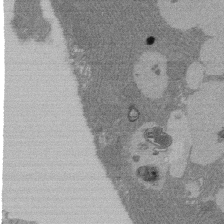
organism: Rat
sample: Salivary granule